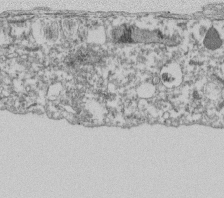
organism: Dictyostelium discoideum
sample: Dictyostelium multivesicular bodies